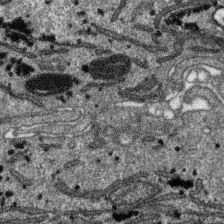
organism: Human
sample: Lung epithelial cells infected with SARS-CoV-2